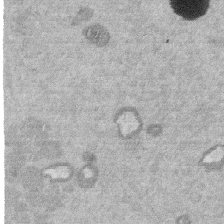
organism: Mouse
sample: Dividing mouse embryo 1 cell stage